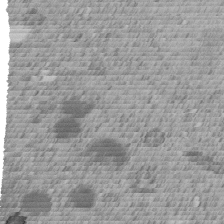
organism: C. elegans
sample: C. elegans embryo early stage